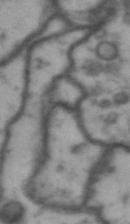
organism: Drosophila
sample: Brain